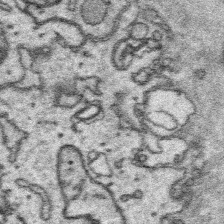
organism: Platynereis dumerilii